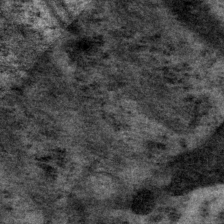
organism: P. pacificus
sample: Pharynx